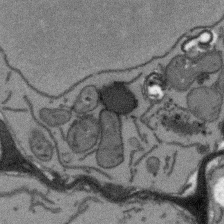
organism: Arabidopsis thaliana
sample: Root tip